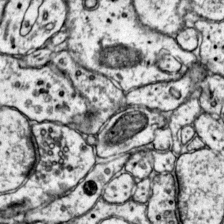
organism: Mouse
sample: Primary visual cortex